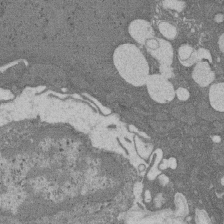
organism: Rat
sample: Salivary granule